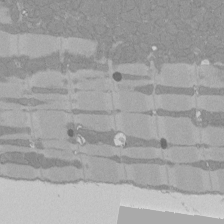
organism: Rat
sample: Left ventricle